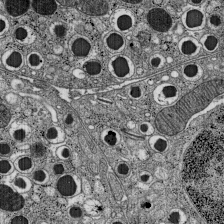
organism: C57BL Mouse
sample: Pancreatic islet